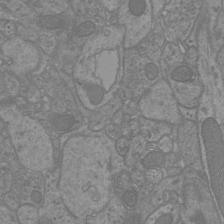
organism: Mouse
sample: Cortical neurons